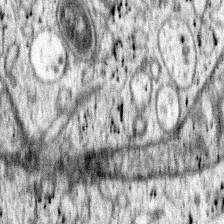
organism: Human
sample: HeLa cells